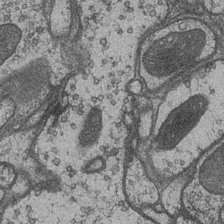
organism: Drosophila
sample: Optic medulla